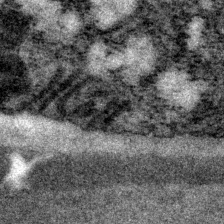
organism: P. pacificus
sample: Pharynx